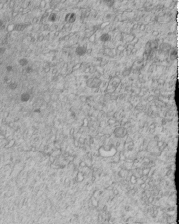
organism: C. elegans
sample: C. elegans embryo early stage